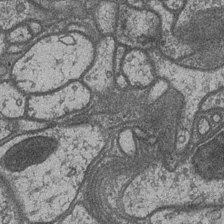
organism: Drosophila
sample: Optic medulla